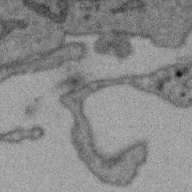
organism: Zebra finch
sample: Brain